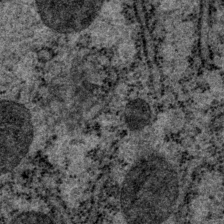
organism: P. pacificus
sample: Pharynx